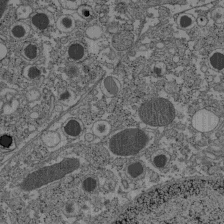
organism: C57BL Mouse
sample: Pancreatic islet